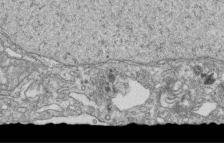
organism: Human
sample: HeLa cell HIV synapse